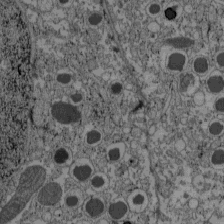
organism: C57BL Mouse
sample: Pancreatic islet